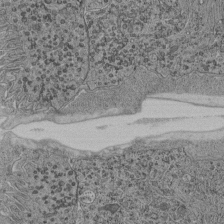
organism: C. elegans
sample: C. elegans pharynx